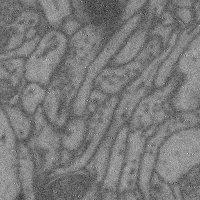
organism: Mouse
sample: Cerebral cortex